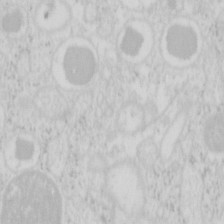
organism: Mouse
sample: Pancreas